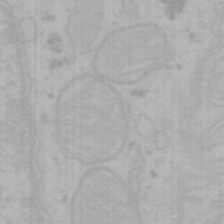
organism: Mouse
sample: Choroid plexus